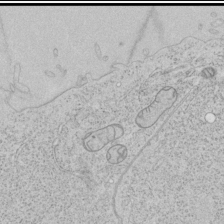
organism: Human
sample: Mitochondria in HCT116 cells